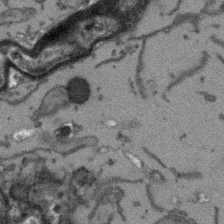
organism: Arabidopsis thaliana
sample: Root tip